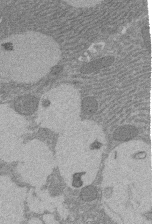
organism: Rat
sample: Salivary granule